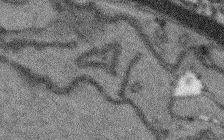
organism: Arabidopsis thaliana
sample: Root tip